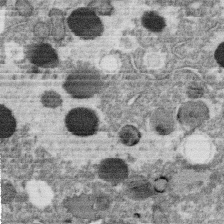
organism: C. elegans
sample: C. elegans oocyte; sperm cells